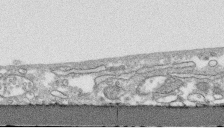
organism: Human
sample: CRL-1474